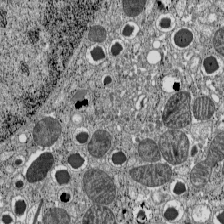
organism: C57BL Mouse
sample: Pancreatic islet